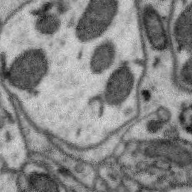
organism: Zebra finch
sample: Brain